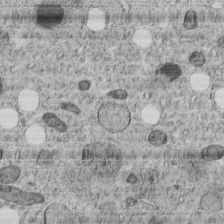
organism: C. elegans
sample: C. elegans embryo early stage